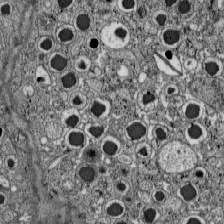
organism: C57BL Mouse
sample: Pancreatic islet